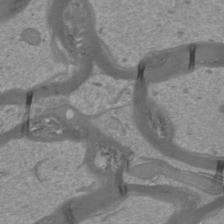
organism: Mouse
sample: Cortical neurons